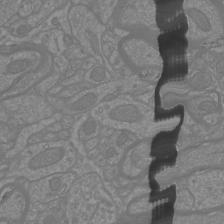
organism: Mouse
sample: Cortical neurons